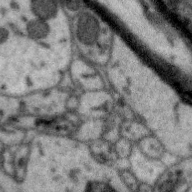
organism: Zebra finch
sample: Brain